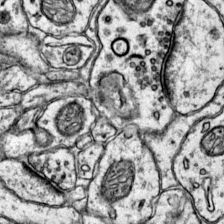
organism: Mouse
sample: Primary visual cortex